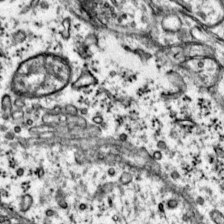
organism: Mouse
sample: Primary visual cortex